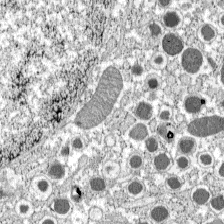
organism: C57BL Mouse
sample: Pancreatic islet